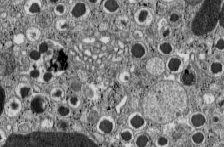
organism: C57BL Mouse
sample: Pancreatic islet